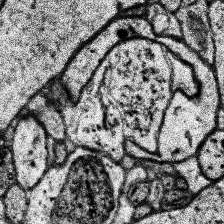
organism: Human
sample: Temporal Lobe